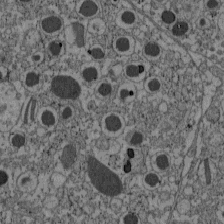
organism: C57BL Mouse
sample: Pancreatic islet